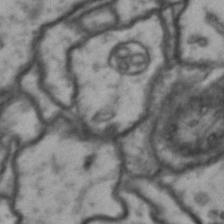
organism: Drosophila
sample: Brain